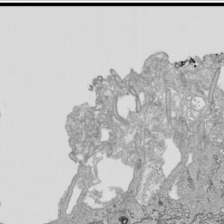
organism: Human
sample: Mitochondria in HCT116 cells